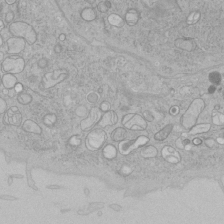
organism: Human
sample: Mitochondria in HCT116 cells